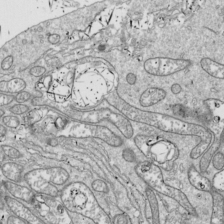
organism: Drosophila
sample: Cell division; meiosis; drosophila spermatocytes